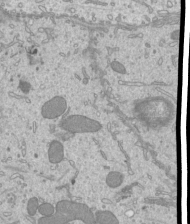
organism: Mouse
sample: Cilia; mouse epididymis